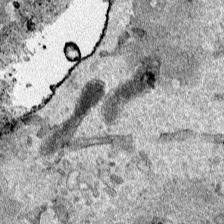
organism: Human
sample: Mitochondria in HCT116 cells